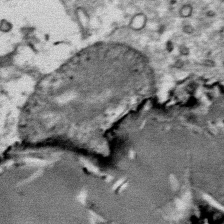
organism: Mouse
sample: Mouse Salivary gland